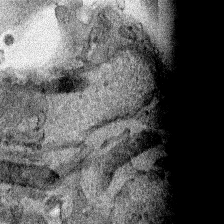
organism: Human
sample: Mitochondria in HCT116 cells